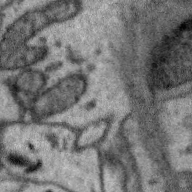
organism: Zebra finch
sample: Brain